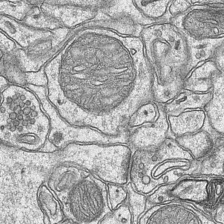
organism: Mouse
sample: CA1 Hippocampus